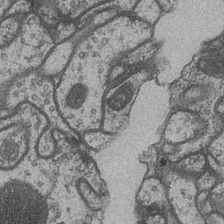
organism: Drosophila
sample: Optic medulla